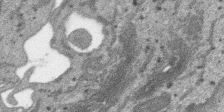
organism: Human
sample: Lung epithelial cells infected with SARS-CoV-2